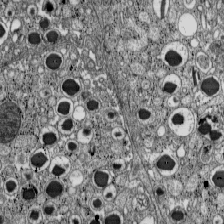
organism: C57BL Mouse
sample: Pancreatic islet